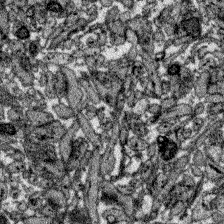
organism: Zebrafish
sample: Larval olfactory bulb